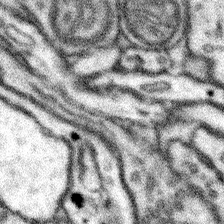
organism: Mouse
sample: Somatosensory cortex neuropil